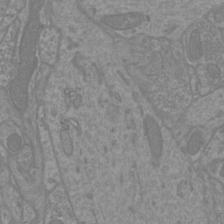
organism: Mouse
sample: Cortical neurons